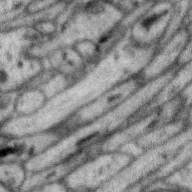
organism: Zebra finch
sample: Brain